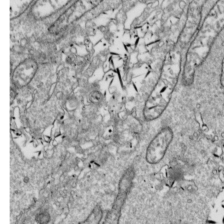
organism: Drosophila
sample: Cell division; meiosis; drosophila spermatocytes